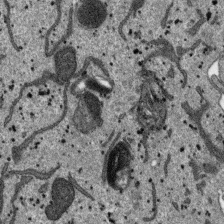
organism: Human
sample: Lung epithelial cells, uninfected (mock) control